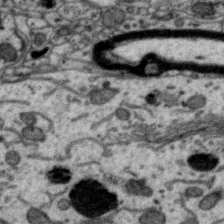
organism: Zebra finch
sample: Brain